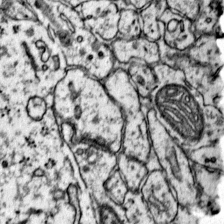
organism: Mouse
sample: Primary visual cortex